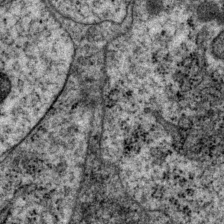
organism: P. pacificus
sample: Pharynx